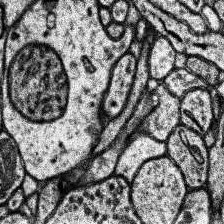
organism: Human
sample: Temporal Lobe